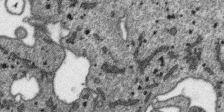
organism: Human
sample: Lung epithelial cells infected with SARS-CoV-2